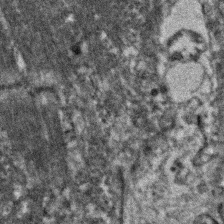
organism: Zebrafish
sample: Zebrafish embryo